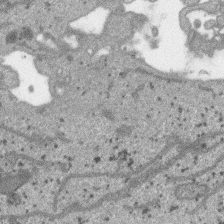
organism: Human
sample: Lung epithelial cells infected with SARS-CoV-2